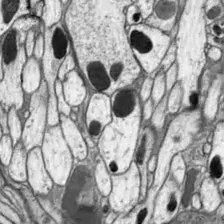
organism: Drosophila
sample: Optic lobe